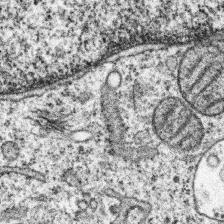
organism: Human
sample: HeLa cells